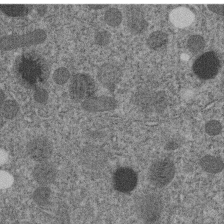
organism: C. elegans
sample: C. elegans embryo early stage